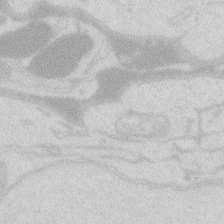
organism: Zebrafish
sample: Macrophage